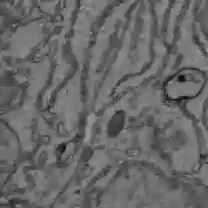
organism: C57BL Mouse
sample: Liver